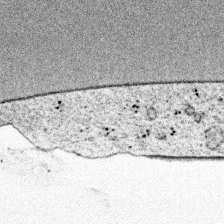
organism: Human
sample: HeLa cells